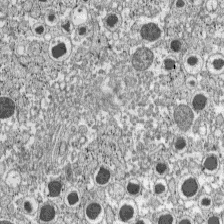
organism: C57BL Mouse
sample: Pancreatic islet